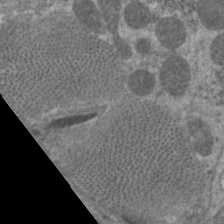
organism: C. elegans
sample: Pharynx